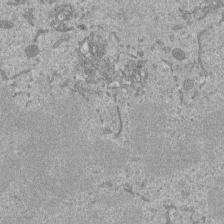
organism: Mouse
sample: ED-1 cell nuclei; centrioles